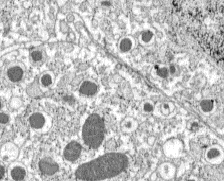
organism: C57BL Mouse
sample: Pancreatic islet